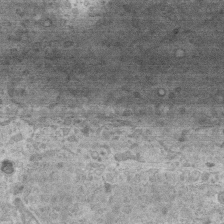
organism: Mouse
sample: Centriole in ependymal cells